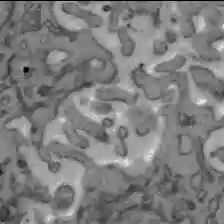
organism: C57BL Mouse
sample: Liver